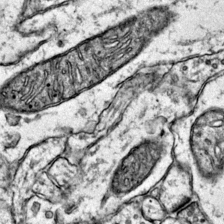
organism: Mouse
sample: Primary visual cortex